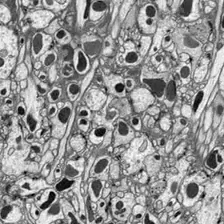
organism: Drosophila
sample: Optic lobe